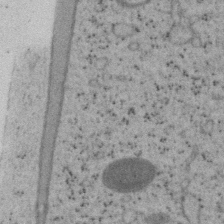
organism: Human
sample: HeLa cells